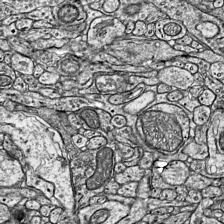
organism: Mouse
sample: Visual Cortex